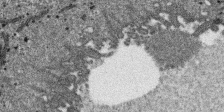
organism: Human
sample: Lung epithelial cells infected with SARS-CoV-2